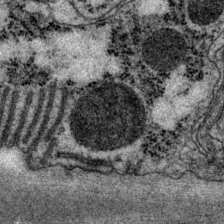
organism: P. pacificus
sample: Pharynx